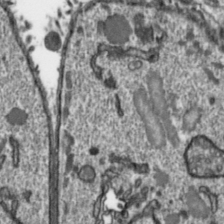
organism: Toxoplasma gondii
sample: Parasites in a vacuole inside a host cell